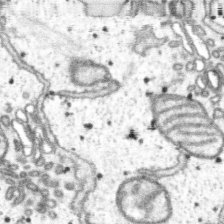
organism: Human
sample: HeLa cells